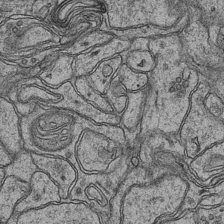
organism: Mouse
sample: CA1 Hippocampus